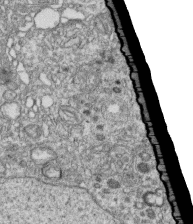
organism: Human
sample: HeLa cell HIV synapse